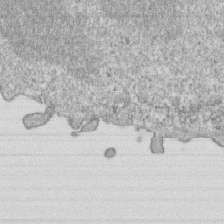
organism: Mouse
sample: Activated OT-1 CD8+ T cells